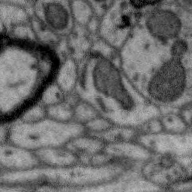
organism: Zebra finch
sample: Brain